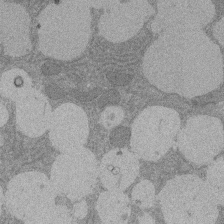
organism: Rat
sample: Salivary granule